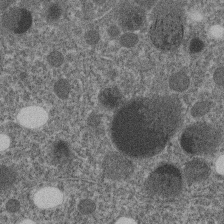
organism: C. elegans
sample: C. elegans embryo early stage